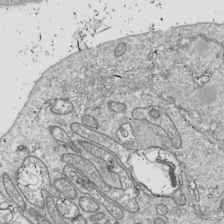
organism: Drosophila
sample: Cell division; meiosis; drosophila spermatocytes